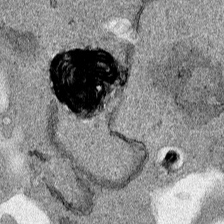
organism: Human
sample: Mitochondria in HCT116 cells